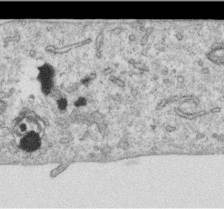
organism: Human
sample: Centriole in RPE cells